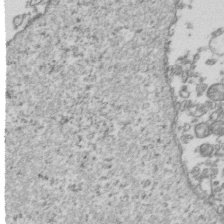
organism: Human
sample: Activated Jurkat CD4+ T cells